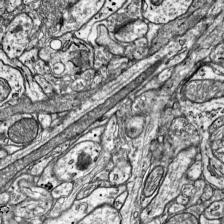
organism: Mouse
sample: Visual Cortex